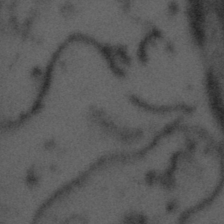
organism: Tuwongella immobilis